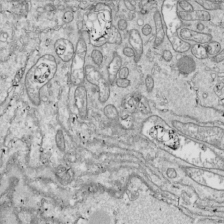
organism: Drosophila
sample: Cell division; meiosis; drosophila spermatocytes